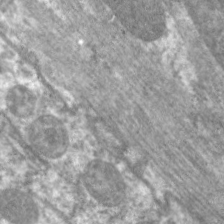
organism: C. elegans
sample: Pharynx